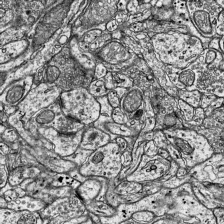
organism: Mouse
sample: Visual Cortex